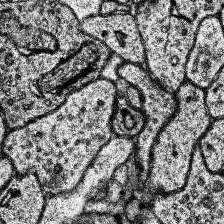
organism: Human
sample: Temporal Lobe